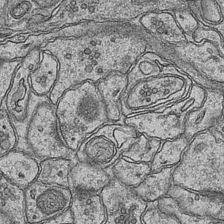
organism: Mouse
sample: CA1 Hippocampus